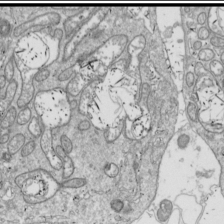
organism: Drosophila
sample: Cell division; meiosis; drosophila spermatocytes